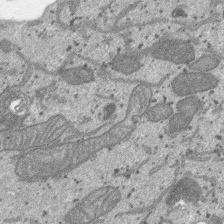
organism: Human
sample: Lung epithelial cells infected with SARS-CoV-2